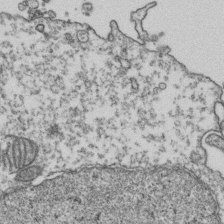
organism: Human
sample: Activated Jurkat CD4+ T cells